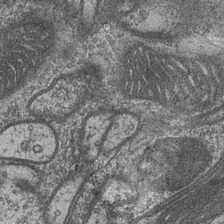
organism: Drosophila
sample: Optic medulla